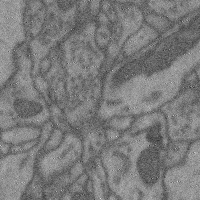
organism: Mouse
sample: Cerebral cortex